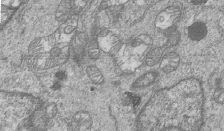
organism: Human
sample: MDA-MB-231 cells